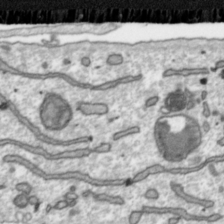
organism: Toxoplasma gondii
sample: Parasites in a vacuole inside a host cell